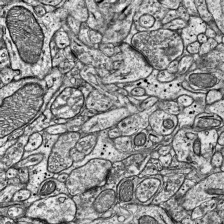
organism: Mouse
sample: Visual Cortex